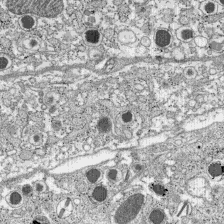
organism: C57BL Mouse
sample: Pancreatic islet